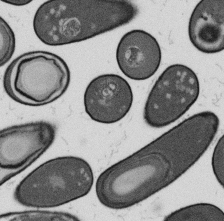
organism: B. subtilis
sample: Bacterial spore